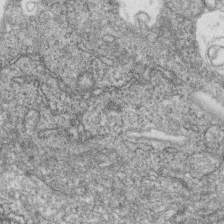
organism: Zebrafish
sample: Cilia; retinal pigment epithelium